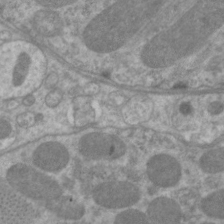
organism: C. elegans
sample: Pharynx